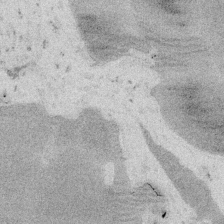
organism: Embia sp.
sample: Silk gland